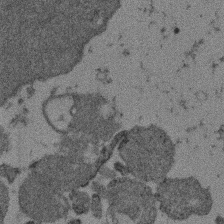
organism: Mouse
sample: Dividing mouse embryo 1 cell stage